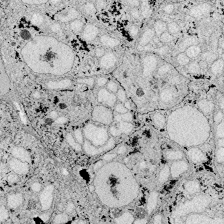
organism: Zebrafish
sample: Whole-Brain